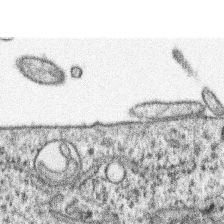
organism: Human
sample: HeLa cells